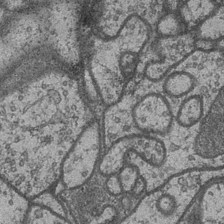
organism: Drosophila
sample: Optic medulla